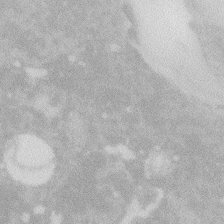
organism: Zebrafish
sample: Macrophage